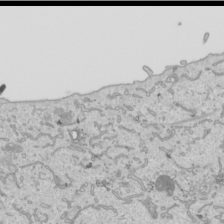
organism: Human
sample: Mitochondria in HCT116 cells